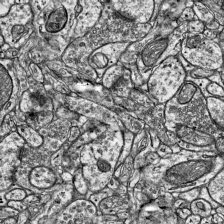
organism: Mouse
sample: Visual Cortex